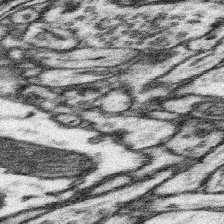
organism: Mouse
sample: Somatosensory cortex neuropil